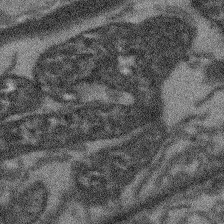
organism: Arabidopsis thaliana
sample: Root tip